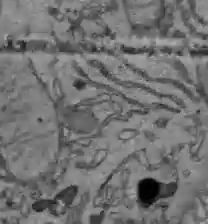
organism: C57BL Mouse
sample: Liver